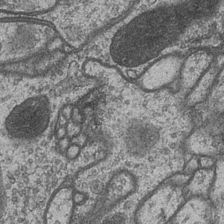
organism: Drosophila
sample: Optic medulla